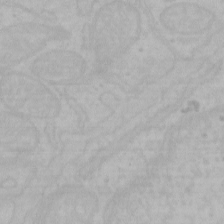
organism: Mouse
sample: Choroid plexus